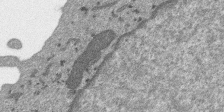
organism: Human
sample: Lung epithelial cells infected with SARS-CoV-2